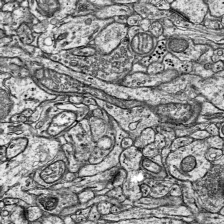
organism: Mouse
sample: Visual Cortex